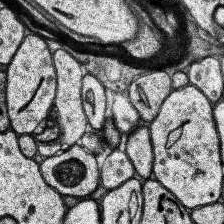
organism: Human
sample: Temporal Lobe